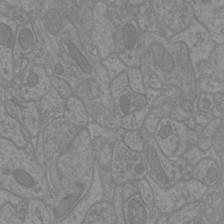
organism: Mouse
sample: Cortical neurons